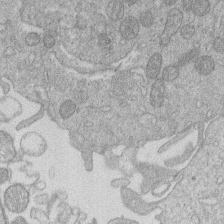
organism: Human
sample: Macrophage cells